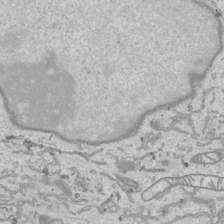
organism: Human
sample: Mitochondria in HCT116 cells